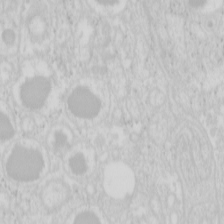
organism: Mouse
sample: Pancreas